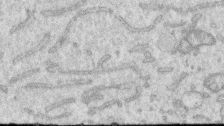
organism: Human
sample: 1205lu cells